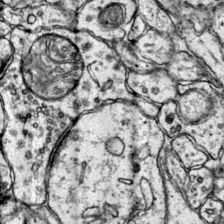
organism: Mouse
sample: Primary visual cortex